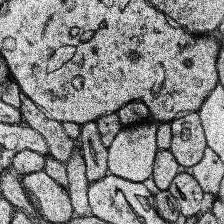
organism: Human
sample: Temporal Lobe